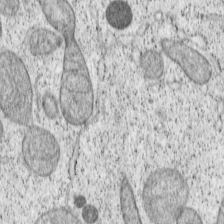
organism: African green monkey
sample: COS-7 cells